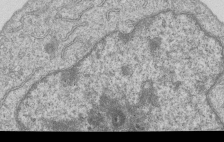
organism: Human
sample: MDA-MB-231 cells